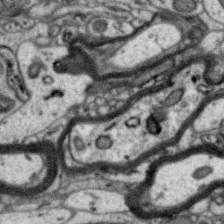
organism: Zebra finch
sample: Brain